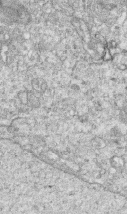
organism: Human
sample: HeLa cell HIV synapse